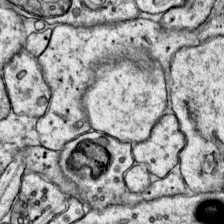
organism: Mouse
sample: Primary visual cortex